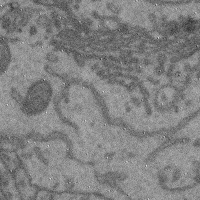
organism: Mouse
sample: Cerebral cortex